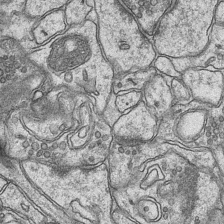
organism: Mouse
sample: CA1 Hippocampus